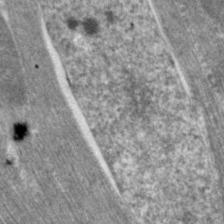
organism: C. elegans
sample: Pharynx